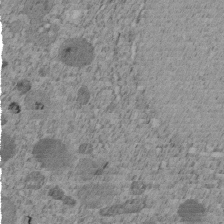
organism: C. elegans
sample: C. elegans embryo early stage